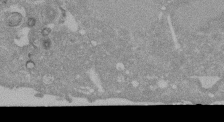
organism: Mouse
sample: ED-1 cell nuclei; centrioles